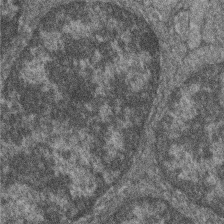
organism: Zebrafish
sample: Cilia; retinal pigment epithelium